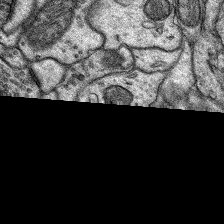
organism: Rat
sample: Hippocampus